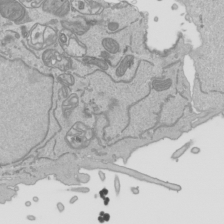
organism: Human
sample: Mitochondria in HCT116 cells